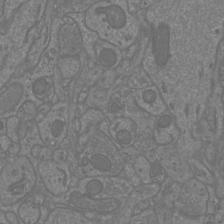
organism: Mouse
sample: Cortical neurons